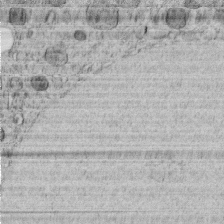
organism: C. elegans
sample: C. elegans embryo early stage